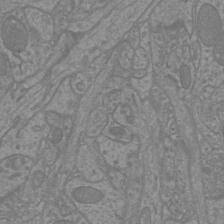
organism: Mouse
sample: Cortical neurons